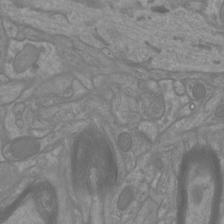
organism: Mouse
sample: Cortical neurons